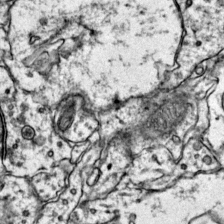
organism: Mouse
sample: Primary visual cortex